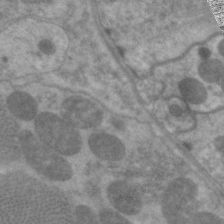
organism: C. elegans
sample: Pharynx